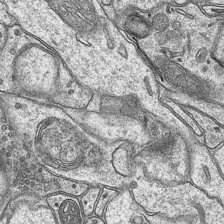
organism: Mouse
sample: CA1 Hippocampus